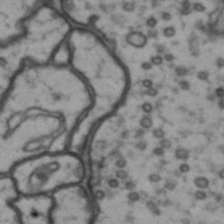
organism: Drosophila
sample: Brain